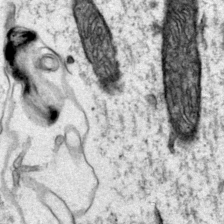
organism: Mouse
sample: Primary visual cortex